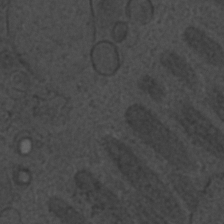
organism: C. elegans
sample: C. elegans embryo